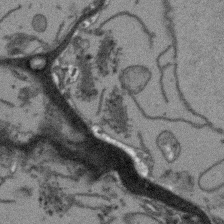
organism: Arabidopsis thaliana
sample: Root tip